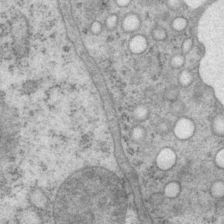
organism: P. pacificus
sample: Pharynx